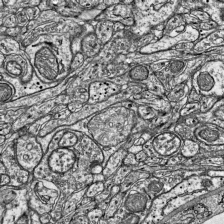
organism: Mouse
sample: Visual Cortex